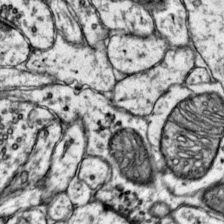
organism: Mouse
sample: Primary visual cortex